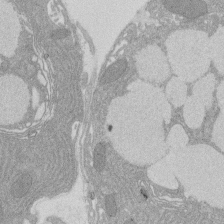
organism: Rat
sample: Salivary granule